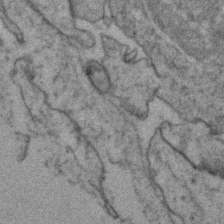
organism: Zebrafish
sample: Zebrafish embryo